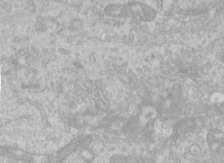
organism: Human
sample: Centriole in RPE cells